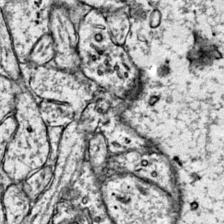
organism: Mouse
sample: Primary visual cortex